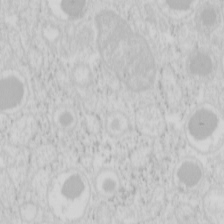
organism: Mouse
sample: Pancreas